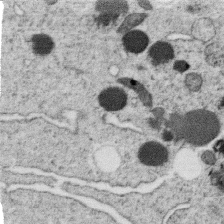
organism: C. elegans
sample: C. elegans oocyte; sperm cells